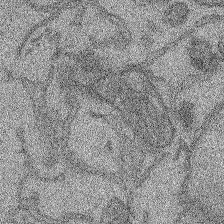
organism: Human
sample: HeLa cells